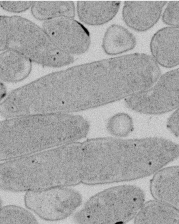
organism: E. coli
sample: Bacterial nucleoid